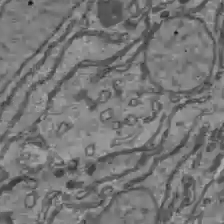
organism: C57BL Mouse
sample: Liver